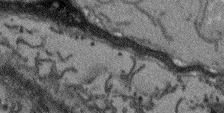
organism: Arabidopsis thaliana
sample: Root tip